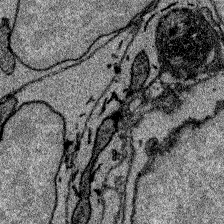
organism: Zebrafish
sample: Larval olfactory bulb